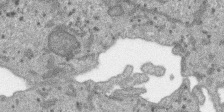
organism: Human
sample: Lung epithelial cells infected with SARS-CoV-2